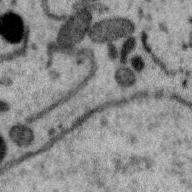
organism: Zebra finch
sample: Brain